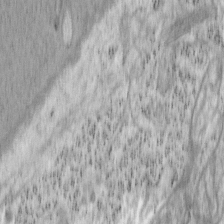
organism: Human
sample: HeLa cells